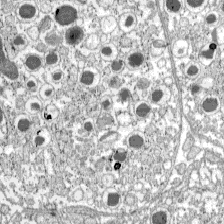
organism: C57BL Mouse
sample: Pancreatic islet